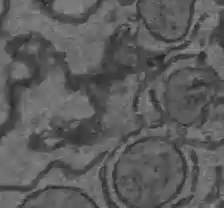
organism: C57BL Mouse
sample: Liver